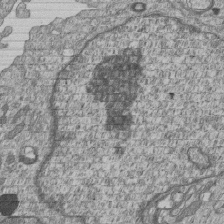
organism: Human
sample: MDA-MB-231 cells